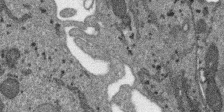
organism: Human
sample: Lung epithelial cells infected with SARS-CoV-2